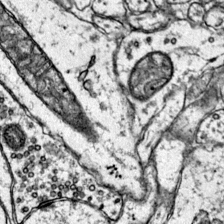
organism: Mouse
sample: Primary visual cortex